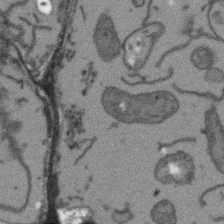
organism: Arabidopsis thaliana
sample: Root tip